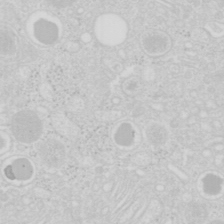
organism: Mouse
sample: Pancreas